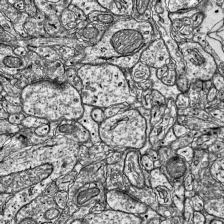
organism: Mouse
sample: Visual Cortex